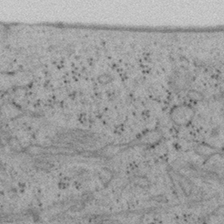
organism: Human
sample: HeLa cells